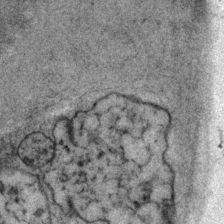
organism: P. pacificus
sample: Pharynx